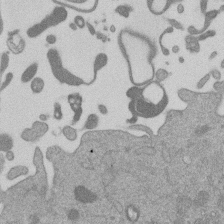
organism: Mouse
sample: Dividing mouse embryo 1 cell stage